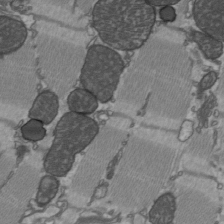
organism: C57BL Mouse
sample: Heart